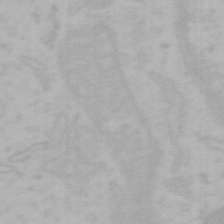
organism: Mouse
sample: Choroid plexus